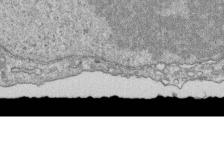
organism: Human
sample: HeLa cell HIV synapse